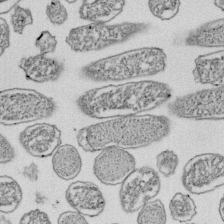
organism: E. coli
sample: Bacterial nucleoid